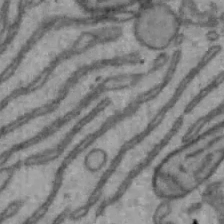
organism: Mouse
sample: Liver